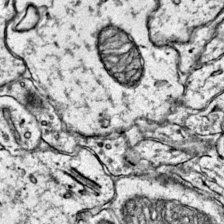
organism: Mouse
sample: Primary visual cortex